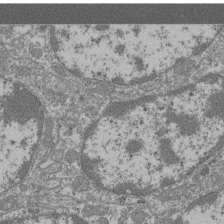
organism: Mouse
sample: Glomerulus